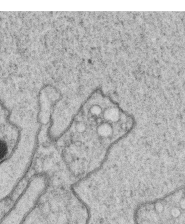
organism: C. elegans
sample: C. elegans oocyte; sperm cells